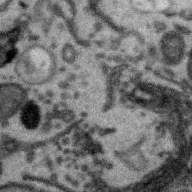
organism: Zebra finch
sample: Brain